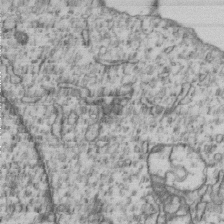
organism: Human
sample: MDA-MB-231 cells